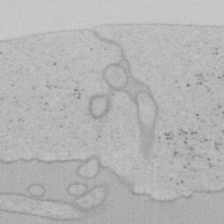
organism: Human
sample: HeLa cells